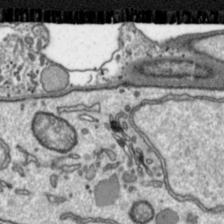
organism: Toxoplasma gondii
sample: Parasites in a vacuole inside a host cell